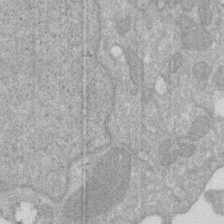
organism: Human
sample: HIV infected U937 cells